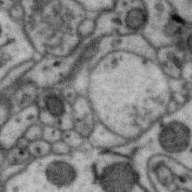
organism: Zebra finch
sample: Brain